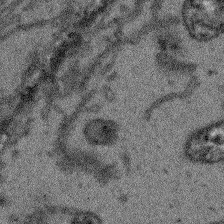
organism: Arabidopsis thaliana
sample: Root tip